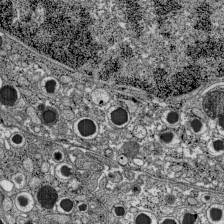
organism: C57BL Mouse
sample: Pancreatic islet